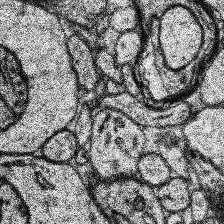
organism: Human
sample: Temporal Lobe